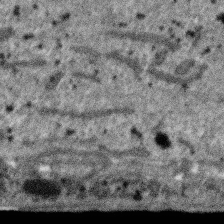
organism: Human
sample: Lung epithelial cells infected with SARS-CoV-2